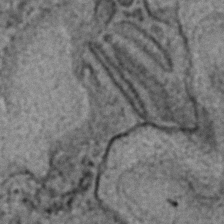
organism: C. elegans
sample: C. elegans embryo